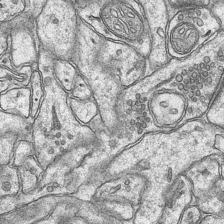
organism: Mouse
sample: CA1 Hippocampus